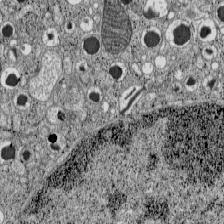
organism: C57BL Mouse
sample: Pancreatic islet